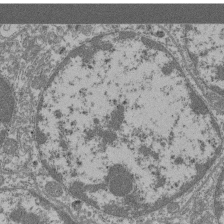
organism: Mouse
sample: Glomerulus